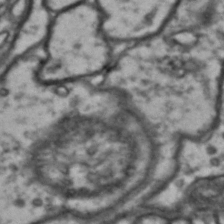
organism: Drosophila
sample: Brain